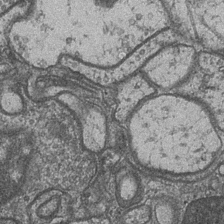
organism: Drosophila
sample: Optic medulla